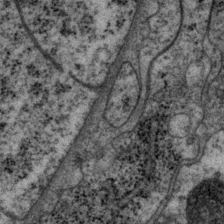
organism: P. pacificus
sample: Pharynx